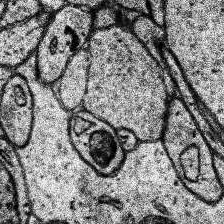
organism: Human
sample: Temporal Lobe